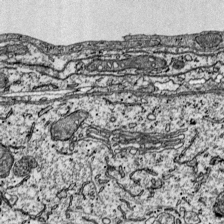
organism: Mouse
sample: Visual Cortex